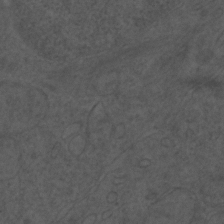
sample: Trachea